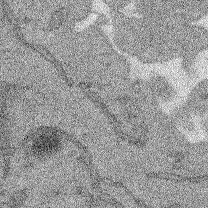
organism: Human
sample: HeLa cells